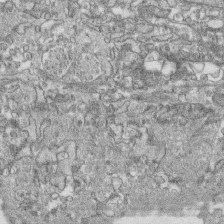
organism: Human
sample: CRL-1474